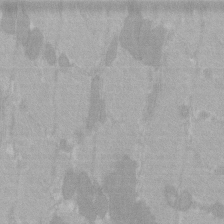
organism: C57BL Mouse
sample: Tibialis anterior muscle cell